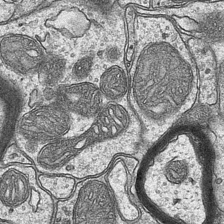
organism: Mouse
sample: CA1 Hippocampus